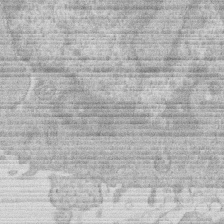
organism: Human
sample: Macrophage cells